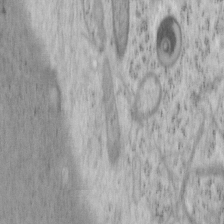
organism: Human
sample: HeLa cells